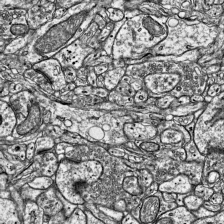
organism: Mouse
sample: Visual Cortex